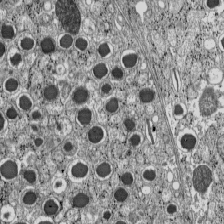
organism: C57BL Mouse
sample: Pancreatic islet